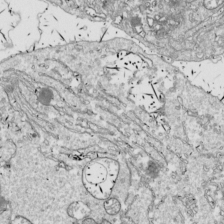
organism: Drosophila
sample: Cell division; meiosis; drosophila spermatocytes